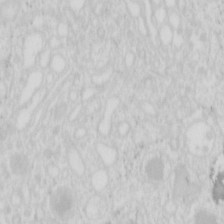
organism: Mouse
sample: Pancreas